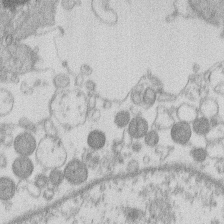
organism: Human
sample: Macrophage cells